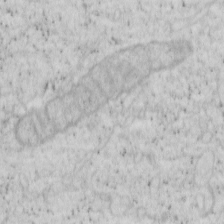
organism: Human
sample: HeLa cells